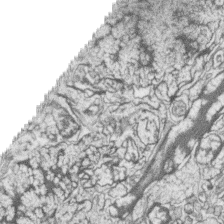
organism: Zebrafish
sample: synaptic ribbons in rod cells and cone cells